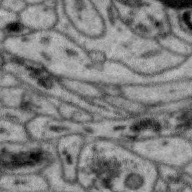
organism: Zebra finch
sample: Brain